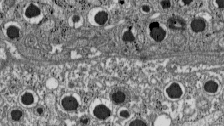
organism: C57BL Mouse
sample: Pancreatic islet